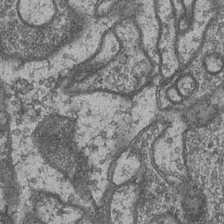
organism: Drosophila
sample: Optic medulla